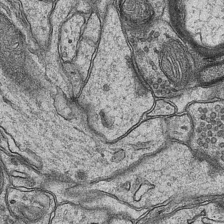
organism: Mouse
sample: CA1 Hippocampus